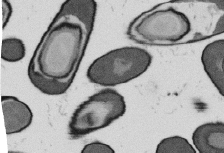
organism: B. subtilis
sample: Bacterial spore